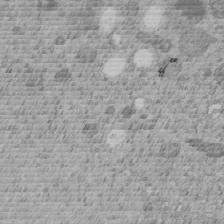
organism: C. elegans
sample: C. elegans embryo early stage